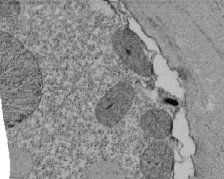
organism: Tetrahymena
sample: Cilia in tetrahymena